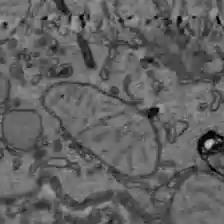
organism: C57BL Mouse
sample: Liver